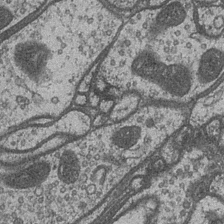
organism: Drosophila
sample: Optic medulla